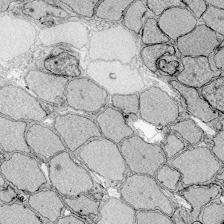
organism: Zebrafish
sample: Whole-Brain